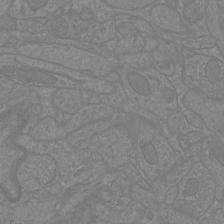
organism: Mouse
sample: Cortical neurons